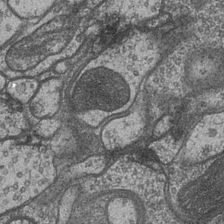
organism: Drosophila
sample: Optic medulla